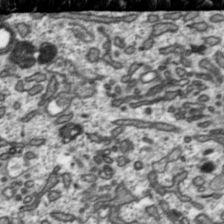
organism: Toxoplasma gondii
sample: Parasites in a vacuole inside a host cell